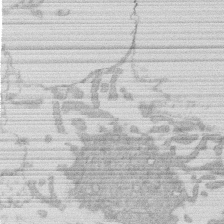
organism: Human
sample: Macrophage cells